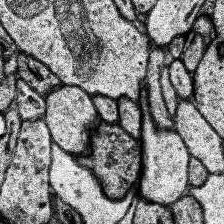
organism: Human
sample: Temporal Lobe